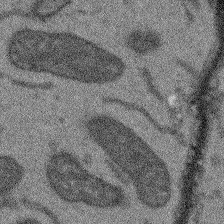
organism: Arabidopsis thaliana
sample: Root tip